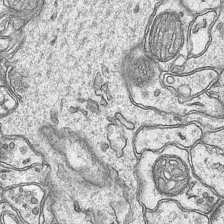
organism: Mouse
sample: CA1 Hippocampus